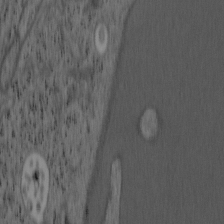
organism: Human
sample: HeLa cells